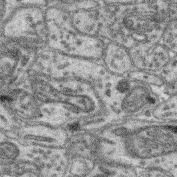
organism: Mouse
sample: Retina